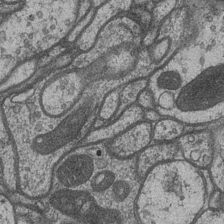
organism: Drosophila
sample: Optic medulla